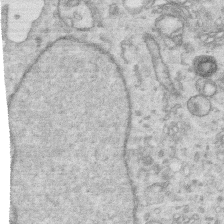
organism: Human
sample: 1205lu cells